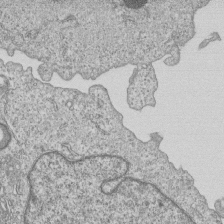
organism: Human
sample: MDA-MB-231 cells